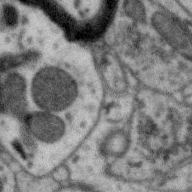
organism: Zebra finch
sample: Brain